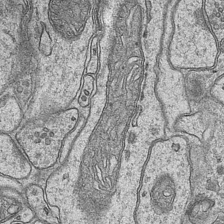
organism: Mouse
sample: CA1 Hippocampus